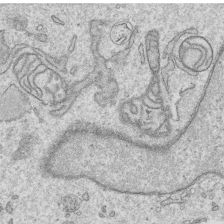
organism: Human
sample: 1205lu cells